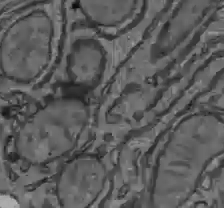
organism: C57BL Mouse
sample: Liver